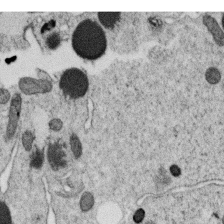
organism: C. elegans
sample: C. elegans oocyte; sperm cells